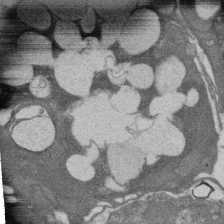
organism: Rat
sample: Salivary granule